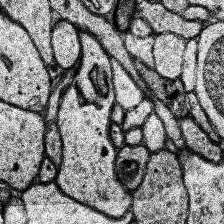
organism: Human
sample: Temporal Lobe